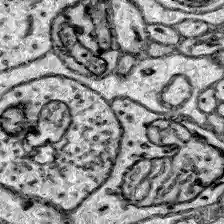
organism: Zebrafish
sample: Brain